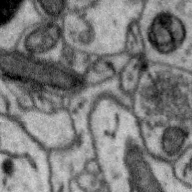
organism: Zebra finch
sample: Brain